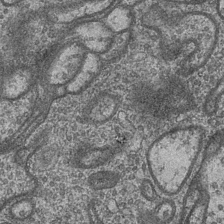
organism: Drosophila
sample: Optic medulla